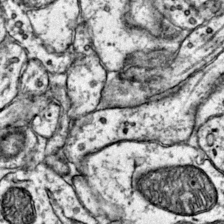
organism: Mouse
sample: Primary visual cortex